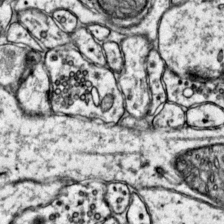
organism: Mouse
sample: Primary visual cortex